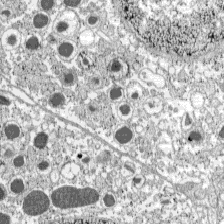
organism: C57BL Mouse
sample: Pancreatic islet